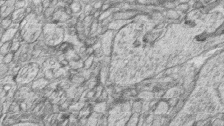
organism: Zebrafish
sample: synaptic ribbons in rod cells and cone cells